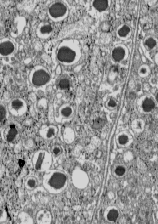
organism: C57BL Mouse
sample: Pancreatic islet